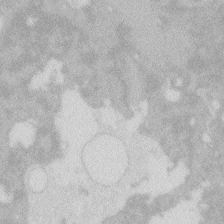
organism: Zebrafish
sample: Macrophage